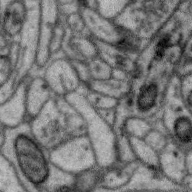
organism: Zebra finch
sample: Brain